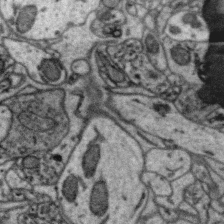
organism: Zebra finch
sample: Brain